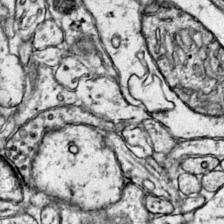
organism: Mouse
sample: Primary visual cortex